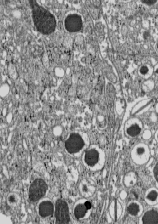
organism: C57BL Mouse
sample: Pancreatic islet